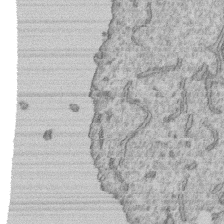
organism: Human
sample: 1205lu cells